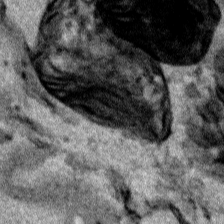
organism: Human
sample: Mitochondria in HCT116 cells